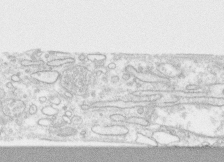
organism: Human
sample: CRL-1474